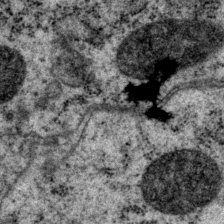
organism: P. pacificus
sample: Pharynx